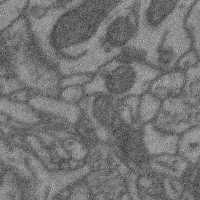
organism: Mouse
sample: Cerebral cortex